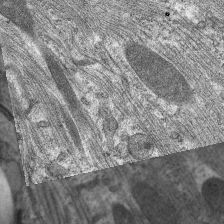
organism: C. elegans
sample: Pharynx